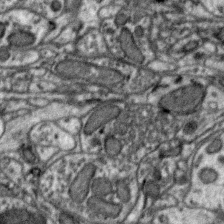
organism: Zebra finch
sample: Brain